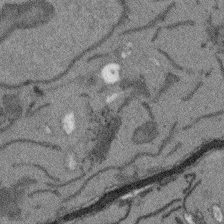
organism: Arabidopsis thaliana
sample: Root tip